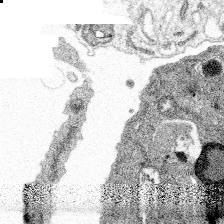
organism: Spongilla lacustris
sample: Multiple